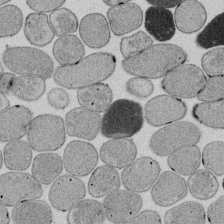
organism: E. coli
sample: Bacterial nucleoid